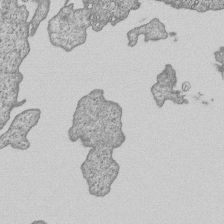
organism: Human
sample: MDA-MB-231 cells